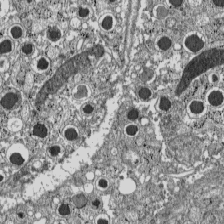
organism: C57BL Mouse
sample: Pancreatic islet